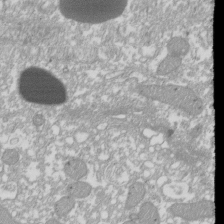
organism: Xenopus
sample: Cilia; centrioles in frog embryo cells